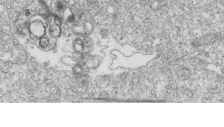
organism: Human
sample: HeLa cell HIV synapse